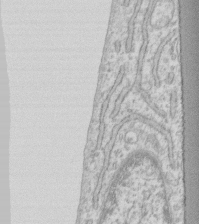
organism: Human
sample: Fibroblast cells